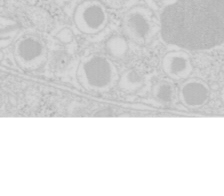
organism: Mouse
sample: Pancreas